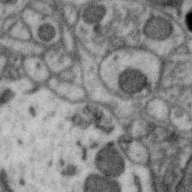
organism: Zebra finch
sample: Brain